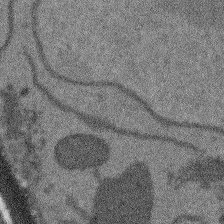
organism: Arabidopsis thaliana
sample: Root tip